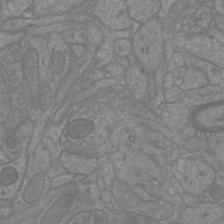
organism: Mouse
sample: Cortical neurons